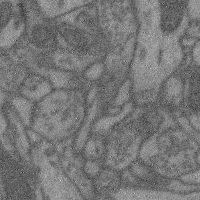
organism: Mouse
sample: Cerebral cortex